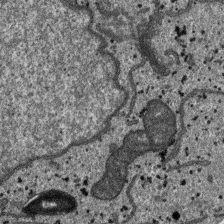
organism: Human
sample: Lung epithelial cells infected with SARS-CoV-2